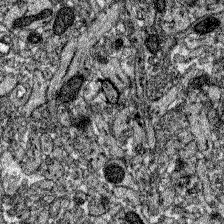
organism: Zebrafish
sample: Larval olfactory bulb